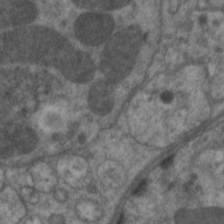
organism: C. elegans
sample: Pharynx